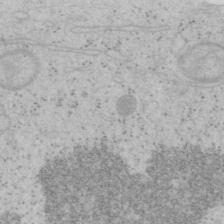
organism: Human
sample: HeLa cells